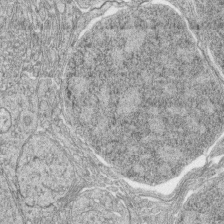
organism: Zebrafish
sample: synaptic ribbons in rod cells and cone cells